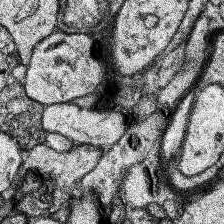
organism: Human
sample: Temporal Lobe